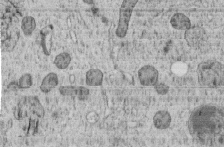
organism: C. elegans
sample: C. elegans embryo early stage